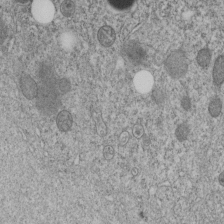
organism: C. elegans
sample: C. elegans embryo early stage